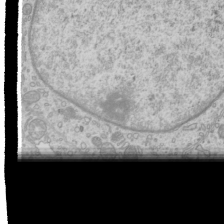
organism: Mouse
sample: Cilia; mouse epididymis